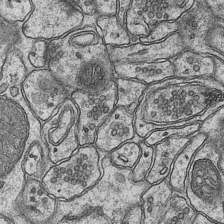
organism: Mouse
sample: CA1 Hippocampus